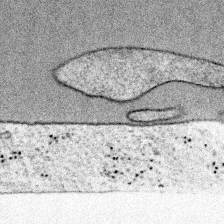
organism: Human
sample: HeLa cells